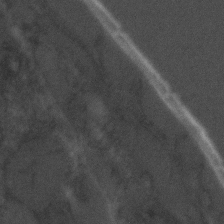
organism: C. elegans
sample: C. elegans embryo